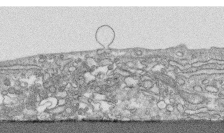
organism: Human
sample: CRL-1474